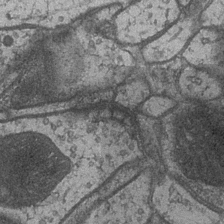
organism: Drosophila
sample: Optic medulla